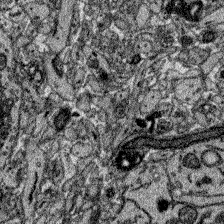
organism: Zebrafish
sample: Larval olfactory bulb